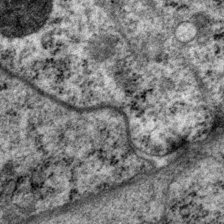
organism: P. pacificus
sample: Pharynx